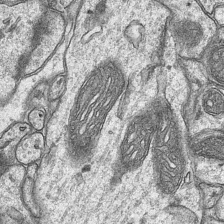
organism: Mouse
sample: CA1 Hippocampus